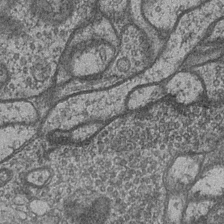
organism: Drosophila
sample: Optic medulla